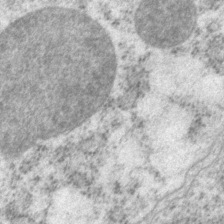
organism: P. pacificus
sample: Pharynx